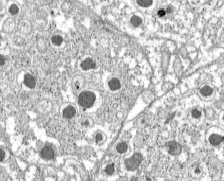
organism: C57BL Mouse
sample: Pancreatic islet